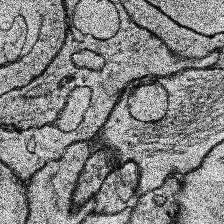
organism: Human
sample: Temporal Lobe